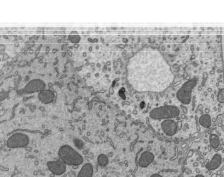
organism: Mouse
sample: Mouse epididymis efferent ductule cilia